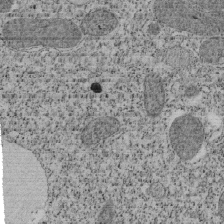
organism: Tetrahymena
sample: Cilia in tetrahymena